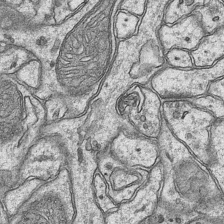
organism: Mouse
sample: CA1 Hippocampus